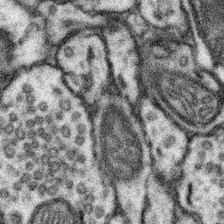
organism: Mouse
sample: Somatosensory cortex neuropil